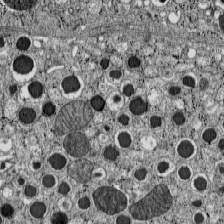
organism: C57BL Mouse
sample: Pancreatic islet